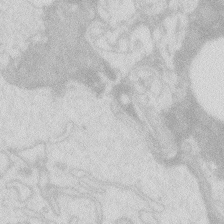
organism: Zebrafish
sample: Macrophage